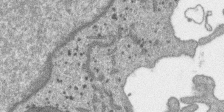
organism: Human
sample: Lung epithelial cells infected with SARS-CoV-2